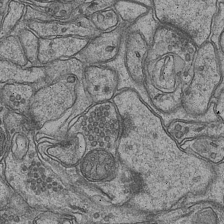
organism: Mouse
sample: CA1 Hippocampus